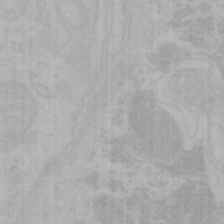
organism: Mouse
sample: Choroid plexus